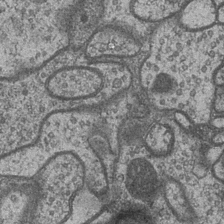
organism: Drosophila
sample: Optic medulla